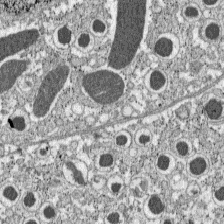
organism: C57BL Mouse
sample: Pancreatic islet